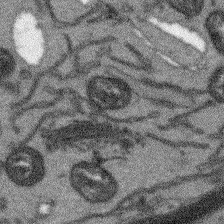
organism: Arabidopsis thaliana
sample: Root tip